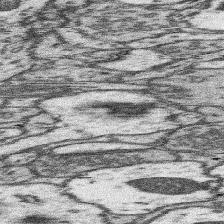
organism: Mouse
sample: Somatosensory cortex neuropil